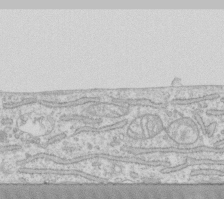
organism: Human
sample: Fibroblast cells